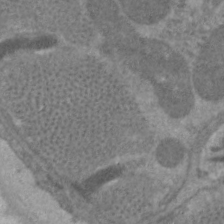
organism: C. elegans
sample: Pharynx